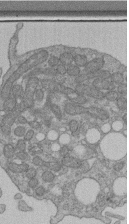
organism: Human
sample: Retinal organoid Rod and Cone cells